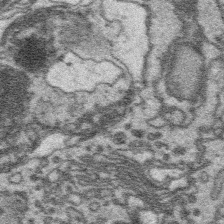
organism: Platynereis dumerilii